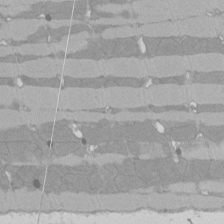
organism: Rat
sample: Left ventricle